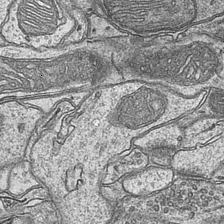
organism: Mouse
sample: CA1 Hippocampus